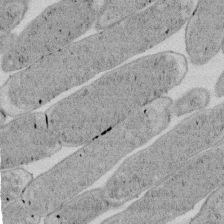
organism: E. coli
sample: Bacterial nucleoid